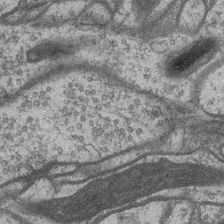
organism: Drosophila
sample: Optic medulla